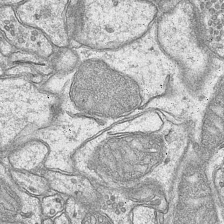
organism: Mouse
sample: CA1 Hippocampus